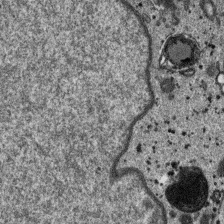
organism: Human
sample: Lung epithelial cells infected with SARS-CoV-2